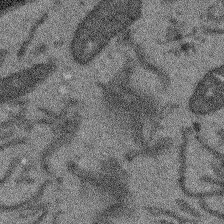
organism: Arabidopsis thaliana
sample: Root tip